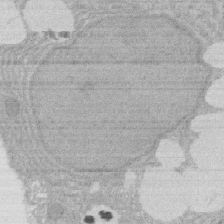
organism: Rat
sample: Salivary granule